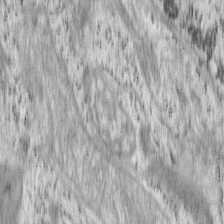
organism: Human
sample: HeLa cells